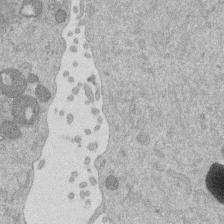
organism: Mouse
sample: Dividing mouse embryo 1 cell stage